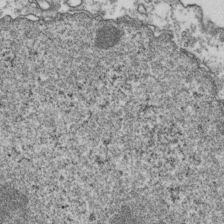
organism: Human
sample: Activated Jurkat CD4+ T cells